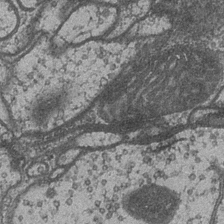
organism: Drosophila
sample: Optic medulla